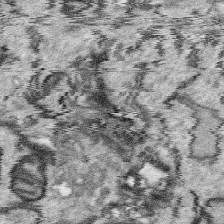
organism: Human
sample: HeLa cells